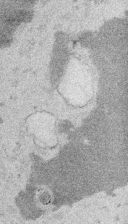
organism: Embia sp.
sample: Silk gland